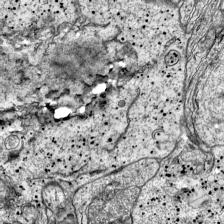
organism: Mouse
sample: Visual Cortex